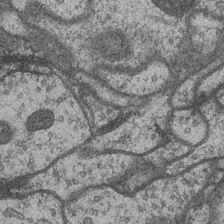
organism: Drosophila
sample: Optic medulla